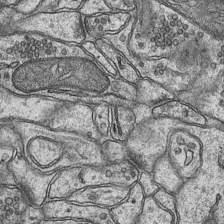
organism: Mouse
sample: CA1 Hippocampus